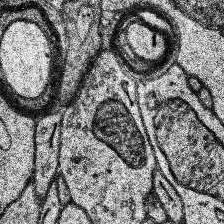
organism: Human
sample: Temporal Lobe